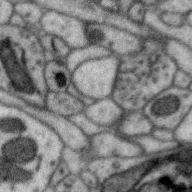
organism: Zebra finch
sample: Brain